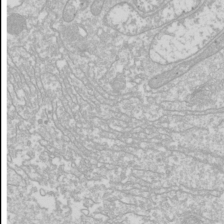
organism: Drosophila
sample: Cell division; meiosis; drosophila spermatocytes